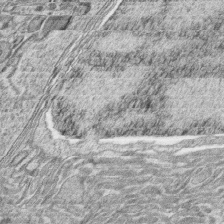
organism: Zebrafish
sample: synaptic ribbons in rod cells and cone cells